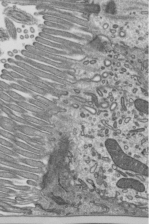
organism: Mouse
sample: Mouse epididymis efferent ductule cilia